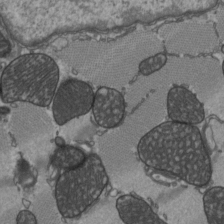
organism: C57BL Mouse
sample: Heart